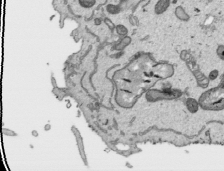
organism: Human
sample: Mitochondria in HCT116 cells